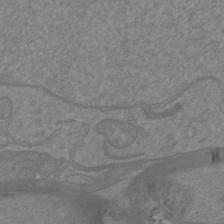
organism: Mouse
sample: Cortical neurons